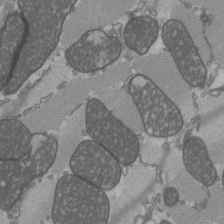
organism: C57BL Mouse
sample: Heart